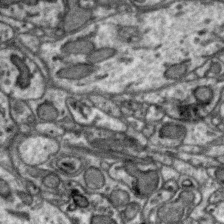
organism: Zebra finch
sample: Brain